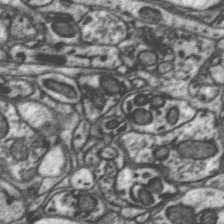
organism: Zebra finch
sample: Brain